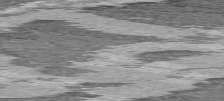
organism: C57BL Mouse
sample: Heart